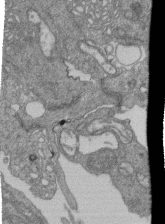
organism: Human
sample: Retinal organoid Rod and Cone cells